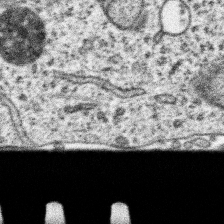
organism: Human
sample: HeLa cells